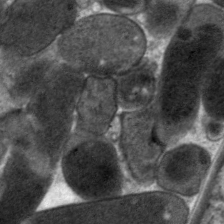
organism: C. elegans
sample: Pharynx